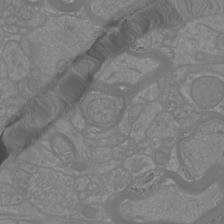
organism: Mouse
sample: Cortical neurons